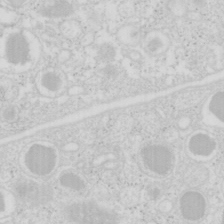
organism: Mouse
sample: Pancreas